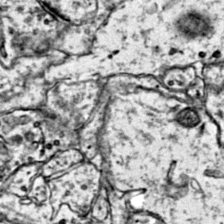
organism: Mouse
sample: Primary visual cortex